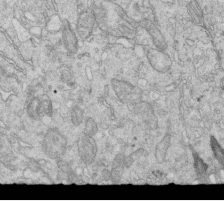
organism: Mouse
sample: Multiciliated cells